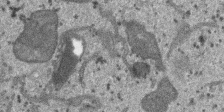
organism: Human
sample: Lung epithelial cells infected with SARS-CoV-2